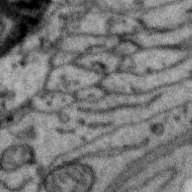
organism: Zebra finch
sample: Brain